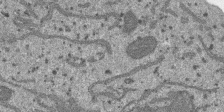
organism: Human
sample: Lung epithelial cells infected with SARS-CoV-2